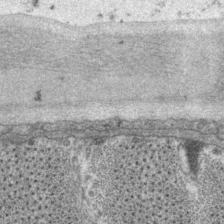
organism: P. pacificus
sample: Pharynx